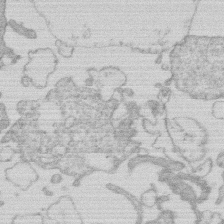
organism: Human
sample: Macrophage cells